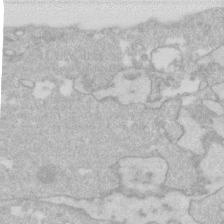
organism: Human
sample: Fibroblast cells